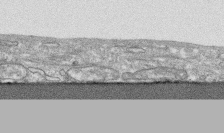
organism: Human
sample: CRL-1474